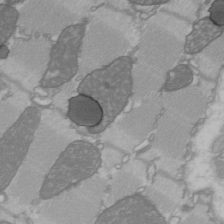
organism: C57BL Mouse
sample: Heart